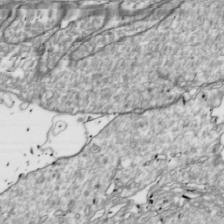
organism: Drosophila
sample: Cell division; meiosis; drosophila spermatocytes